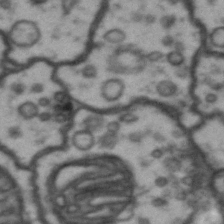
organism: Drosophila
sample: Brain